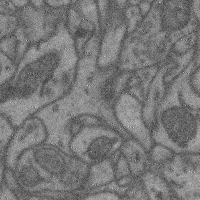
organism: Mouse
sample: Cerebral cortex